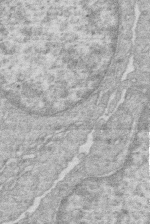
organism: Human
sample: Macrophage cells